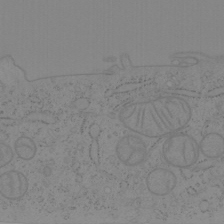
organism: Human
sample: HeLa cells